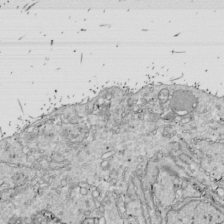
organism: Drosophila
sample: Cell division; meiosis; drosophila spermatocytes